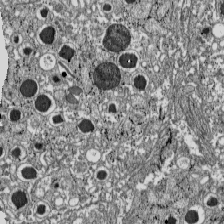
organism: C57BL Mouse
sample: Pancreatic islet